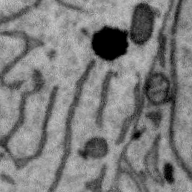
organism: Zebra finch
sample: Brain